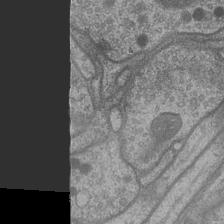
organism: Drosophila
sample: Optic medulla